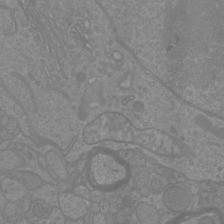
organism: Mouse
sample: Cortical neurons